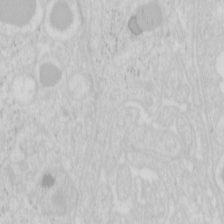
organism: Mouse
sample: Pancreas